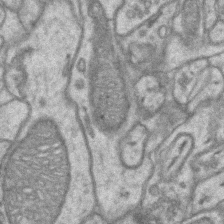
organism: Mouse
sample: CA1 Hippocampus